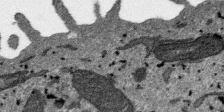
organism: Human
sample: Lung epithelial cells, uninfected (mock) control